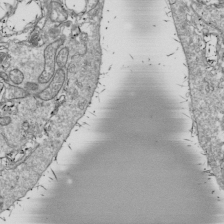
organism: Drosophila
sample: Cell division; meiosis; drosophila spermatocytes